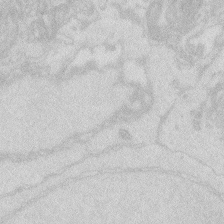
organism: Zebrafish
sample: Macrophage